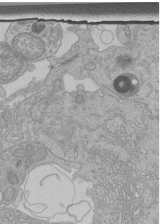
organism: Human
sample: Retinal organoid Rod and Cone cells